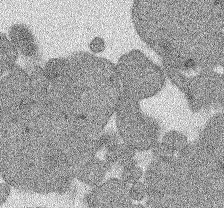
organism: Human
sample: HeLa cells